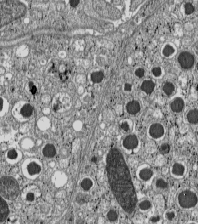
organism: C57BL Mouse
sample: Pancreatic islet